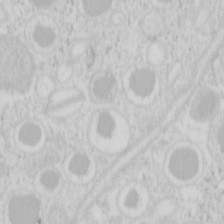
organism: Mouse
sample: Pancreas